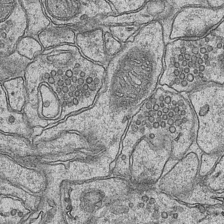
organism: Mouse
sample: CA1 Hippocampus